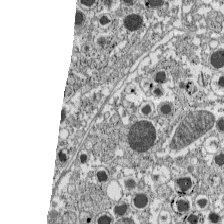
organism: C57BL Mouse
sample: Pancreatic islet